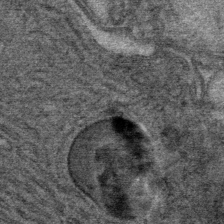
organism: Mouse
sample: Mouse Salivary gland